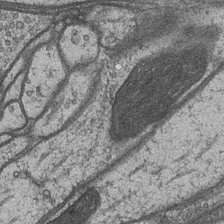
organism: Drosophila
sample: Optic medulla